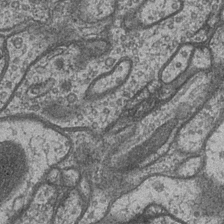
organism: Drosophila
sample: Optic medulla